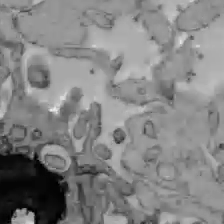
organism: C57BL Mouse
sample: Liver